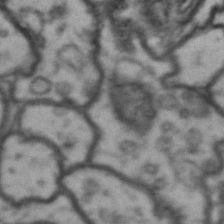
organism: Drosophila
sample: Brain